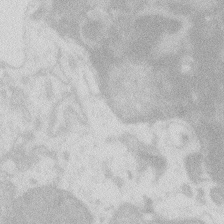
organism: Zebrafish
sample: Macrophage